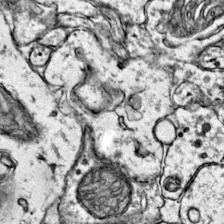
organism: Mouse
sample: Primary visual cortex